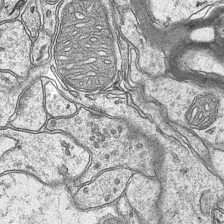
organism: Mouse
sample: CA1 Hippocampus